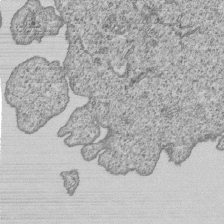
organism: Human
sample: MDA-MB-231 cells